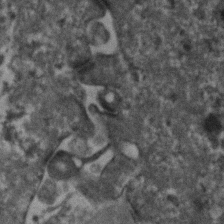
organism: Human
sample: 1205lu cells